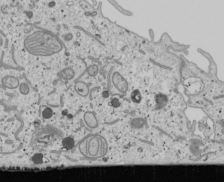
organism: Human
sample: Mitochondria in U2OS cells